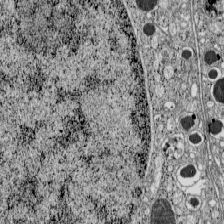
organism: C57BL Mouse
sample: Pancreatic islet